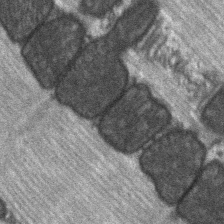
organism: C57BL Mouse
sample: Soleus